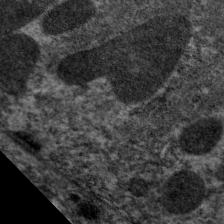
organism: C. elegans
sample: Pharynx